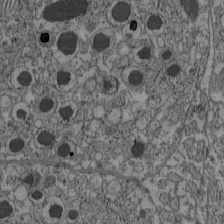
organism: C57BL Mouse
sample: Pancreatic islet